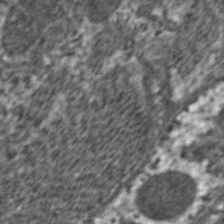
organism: C. elegans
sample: Pharynx